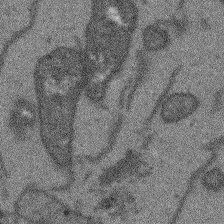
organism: Arabidopsis thaliana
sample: Root tip